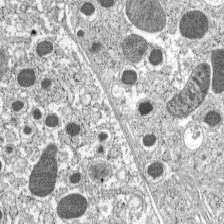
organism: C57BL Mouse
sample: Pancreatic islet